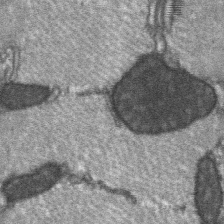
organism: C57BL Mouse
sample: Soleus